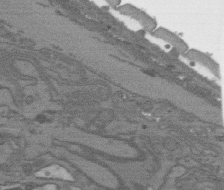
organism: C. elegans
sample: AFD neurons C. elegans